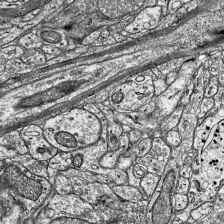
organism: Mouse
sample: Visual Cortex